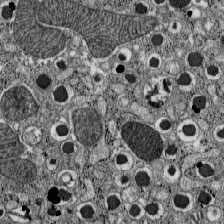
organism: C57BL Mouse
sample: Pancreatic islet